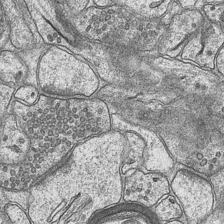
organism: Mouse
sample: CA1 Hippocampus